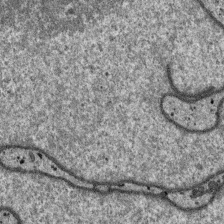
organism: Human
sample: Lung epithelial cells, uninfected (mock) control